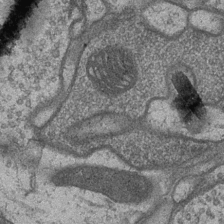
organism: Drosophila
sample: Optic medulla